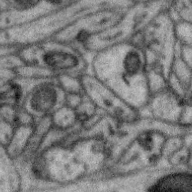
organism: Zebra finch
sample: Brain